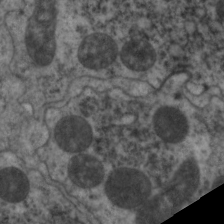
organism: C. elegans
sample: Pharynx